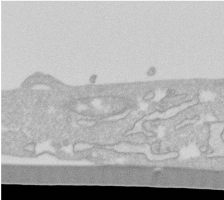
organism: Human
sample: Fibroblast cells